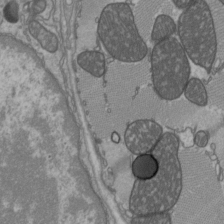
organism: C57BL Mouse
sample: Heart